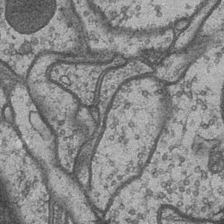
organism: Drosophila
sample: Optic medulla